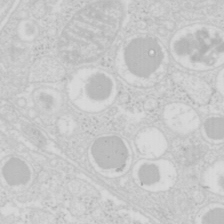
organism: Mouse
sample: Pancreas